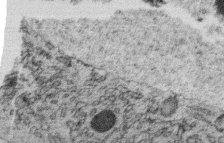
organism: C. elegans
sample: C. elegans oocyte; sperm cells